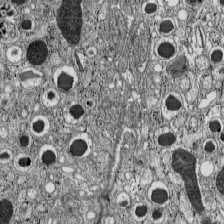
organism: C57BL Mouse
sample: Pancreatic islet